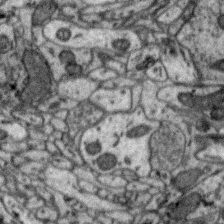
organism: Zebra finch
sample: Brain